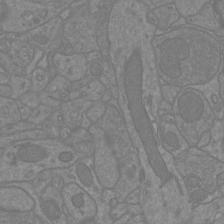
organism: Mouse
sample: Cortical neurons